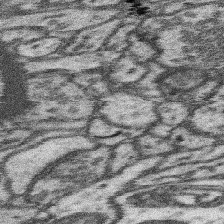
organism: Mouse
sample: Somatosensory cortex neuropil